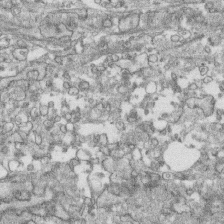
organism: Human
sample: CRL-1474